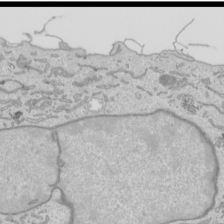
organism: Human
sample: Mitochondria in HCT116 cells